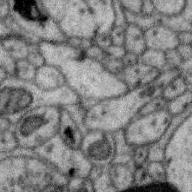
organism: Zebra finch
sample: Brain